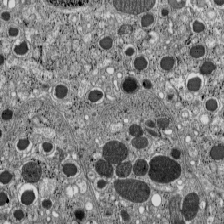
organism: C57BL Mouse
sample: Pancreatic islet